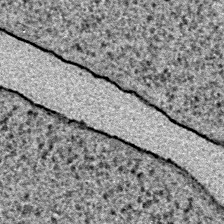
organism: E. coli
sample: E. Coli Bacteria